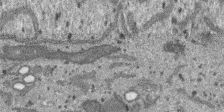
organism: Human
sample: Lung epithelial cells infected with SARS-CoV-2